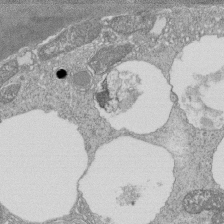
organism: Tetrahymena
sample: Cilia in tetrahymena